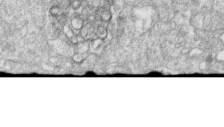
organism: Human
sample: HeLa cell HIV synapse